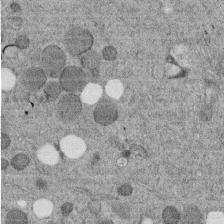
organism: C. elegans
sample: C. elegans embryo early stage